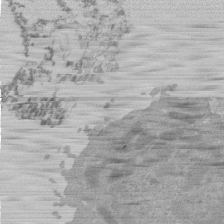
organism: Mouse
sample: Activated Pmel transgenic CD8+ T Cells